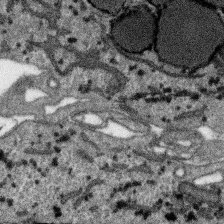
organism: Human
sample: Lung epithelial cells infected with SARS-CoV-2